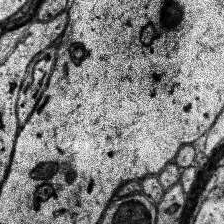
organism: Human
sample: Temporal Lobe